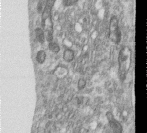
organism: Human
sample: Centriole in RPE cells